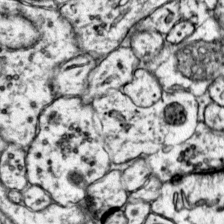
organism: Mouse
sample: Primary visual cortex